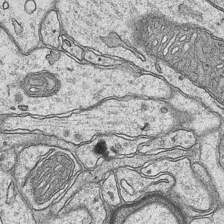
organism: Mouse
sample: CA1 Hippocampus